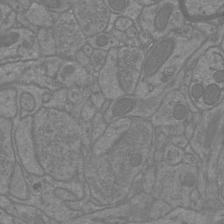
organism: Mouse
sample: Cortical neurons